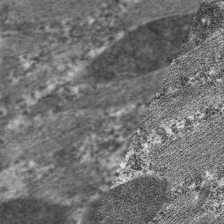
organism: C. elegans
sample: Pharynx